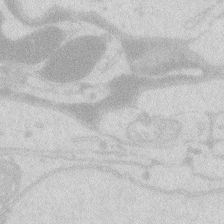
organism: Zebrafish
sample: Macrophage